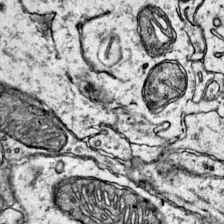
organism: Mouse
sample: Primary visual cortex